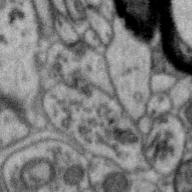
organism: Zebra finch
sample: Brain